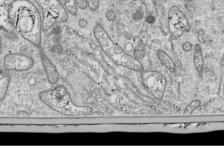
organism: Drosophila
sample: Cell division; meiosis; drosophila spermatocytes